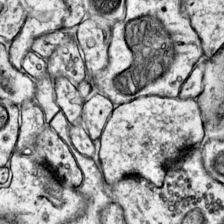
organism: Mouse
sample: Primary visual cortex